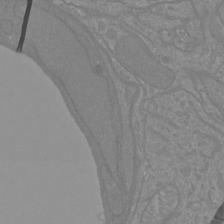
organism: Mouse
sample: Cortical neurons